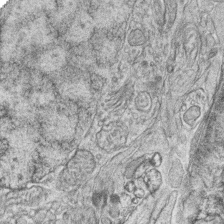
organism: Zebrafish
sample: synaptic ribbons in rod cells and cone cells